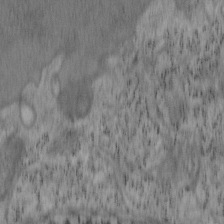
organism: Human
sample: HeLa cells